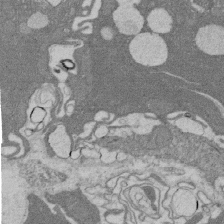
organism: Rat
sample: Salivary granule